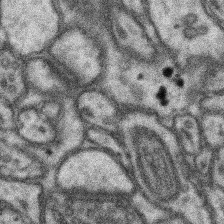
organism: Mouse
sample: Somatosensory cortex neuropil